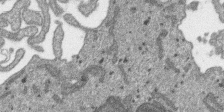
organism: Human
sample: Lung epithelial cells infected with SARS-CoV-2